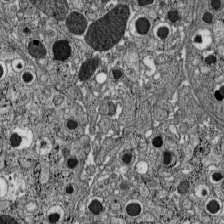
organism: C57BL Mouse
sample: Pancreatic islet